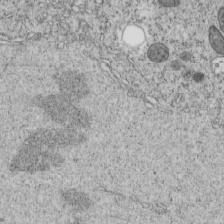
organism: C. elegans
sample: C. elegans embryo early stage